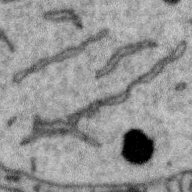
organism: Zebra finch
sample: Brain